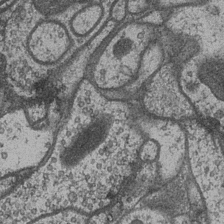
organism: Drosophila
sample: Optic medulla